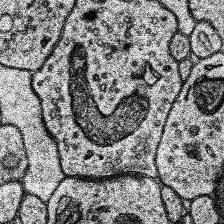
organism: Human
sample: Temporal Lobe